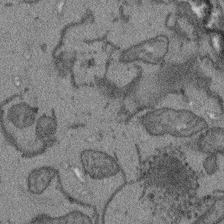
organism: Arabidopsis thaliana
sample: Root tip